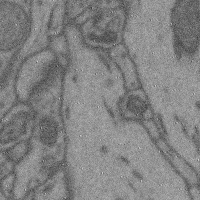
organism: Mouse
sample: Cerebral cortex